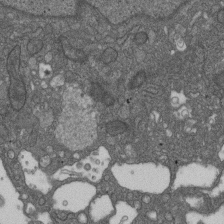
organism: Drosophila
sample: Nephrocyte